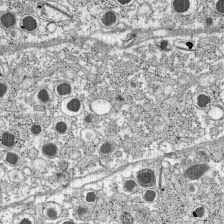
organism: C57BL Mouse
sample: Pancreatic islet